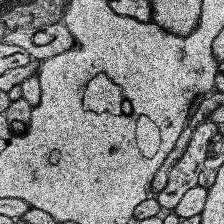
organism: Human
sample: Temporal Lobe